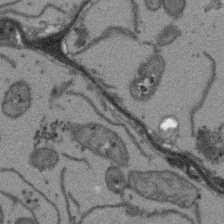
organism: Arabidopsis thaliana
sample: Root tip